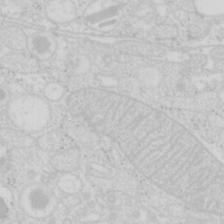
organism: Mouse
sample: Pancreas